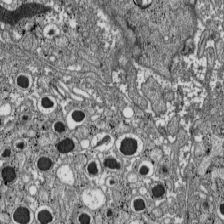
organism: C57BL Mouse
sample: Pancreatic islet